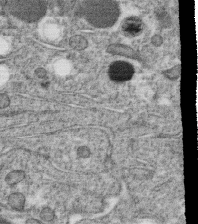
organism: C. elegans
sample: C. elegans oocyte; sperm cells